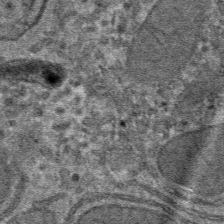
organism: Mouse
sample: Mouse hepatocytes